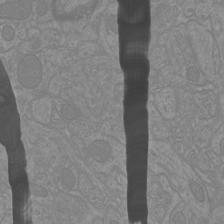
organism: Mouse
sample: Cortical neurons